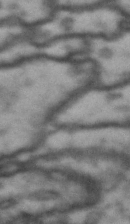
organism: Drosophila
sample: Brain